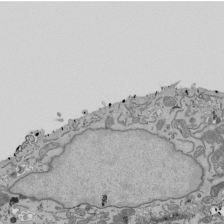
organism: Mouse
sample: ED-1 cell nuclei; centrioles